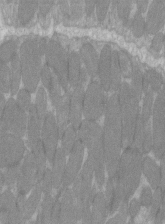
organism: C57BL Mouse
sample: Tibialis anterior muscle cell